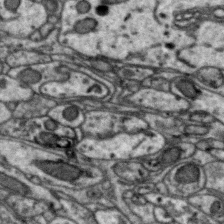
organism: Zebra finch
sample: Brain